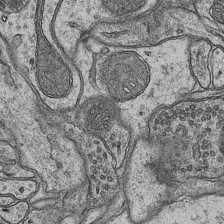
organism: Mouse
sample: CA1 Hippocampus